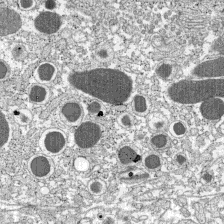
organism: C57BL Mouse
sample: Pancreatic islet